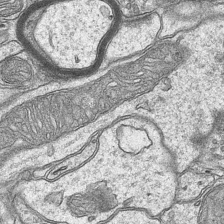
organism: Mouse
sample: CA1 Hippocampus